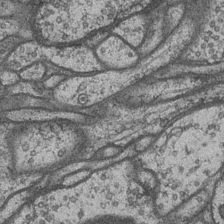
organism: Drosophila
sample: Optic medulla